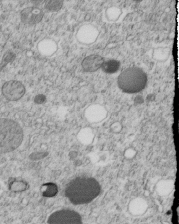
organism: C. elegans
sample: C. elegans embryo early stage